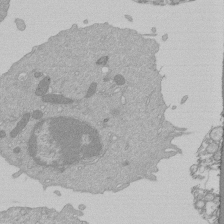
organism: Mouse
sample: Activated Pmel transgenic CD8+ T Cells